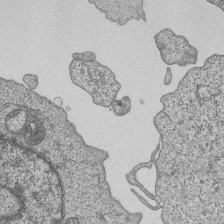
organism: Human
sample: MDA-MB-231 cells